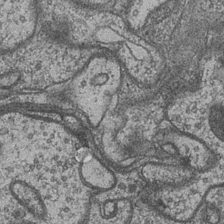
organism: Drosophila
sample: Optic medulla